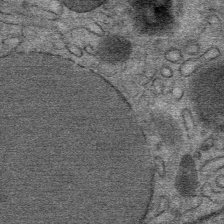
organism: Mouse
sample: Mouse Salivary gland